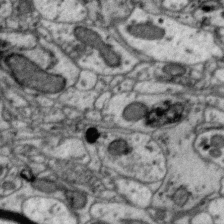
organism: Zebra finch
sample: Brain